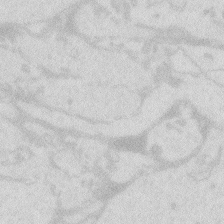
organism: Zebrafish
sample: Macrophage